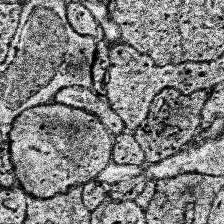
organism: Human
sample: Temporal Lobe